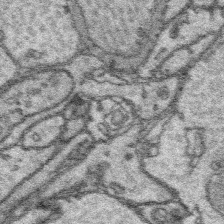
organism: Platynereis dumerilii